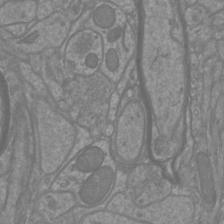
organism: Mouse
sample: Cortical neurons